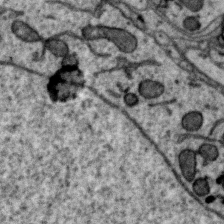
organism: Zebra finch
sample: Brain